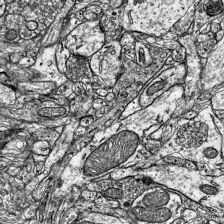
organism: Mouse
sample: Visual Cortex